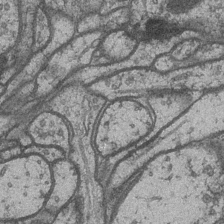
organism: Drosophila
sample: Optic medulla